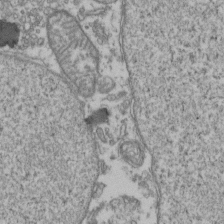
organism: Human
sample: Activated Jurkat CD4+ T cells